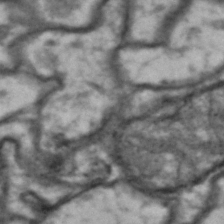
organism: Drosophila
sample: Brain